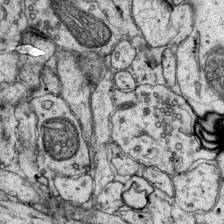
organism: Mouse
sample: Primary visual cortex